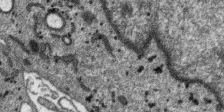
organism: Human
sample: Lung epithelial cells infected with SARS-CoV-2